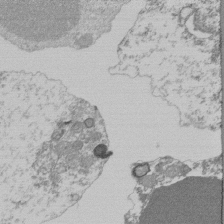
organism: Mouse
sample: Activated Pmel transgenic CD8+ T Cells